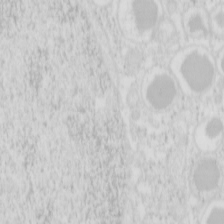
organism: Mouse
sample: Pancreas